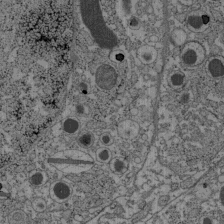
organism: C57BL Mouse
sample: Pancreatic islet